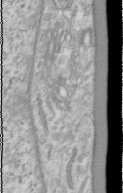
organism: Human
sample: Cilia; basal body in RPE cells